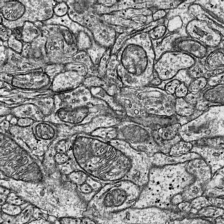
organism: Mouse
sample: Visual Cortex